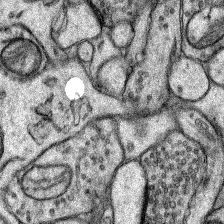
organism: Rat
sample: Hippocampus